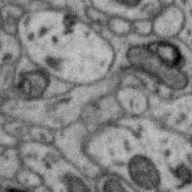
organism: Zebra finch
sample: Brain